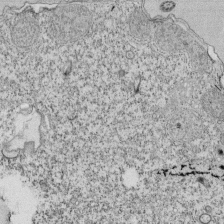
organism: Tetrahymena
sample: Cilia in tetrahymena